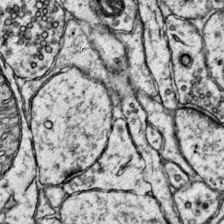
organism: Mouse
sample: Primary visual cortex